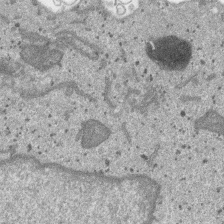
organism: Human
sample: Lung epithelial cells infected with SARS-CoV-2